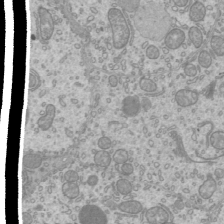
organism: Mouse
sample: Cilia; mouse epididymis